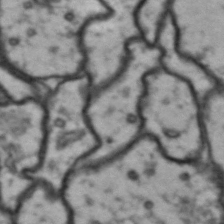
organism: Drosophila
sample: Brain